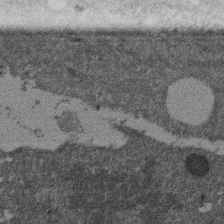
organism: Mouse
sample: Dividing mouse embryo 1 cell stage